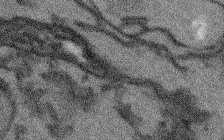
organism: Arabidopsis thaliana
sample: Root tip